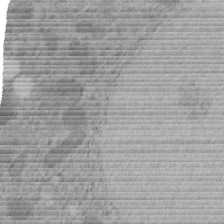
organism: C. elegans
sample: C. elegans embryo early stage